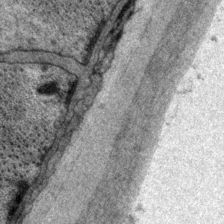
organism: P. pacificus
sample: Pharynx